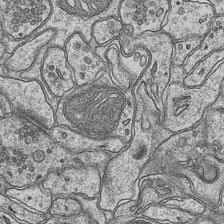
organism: Mouse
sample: CA1 Hippocampus